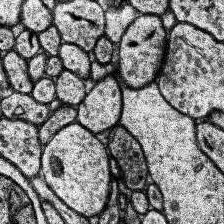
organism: Human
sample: Temporal Lobe